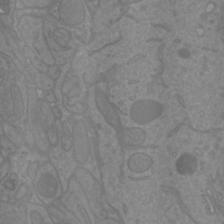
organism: Mouse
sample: Cortical neurons